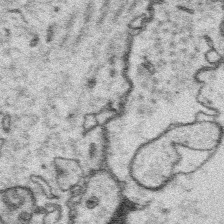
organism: Platynereis dumerilii